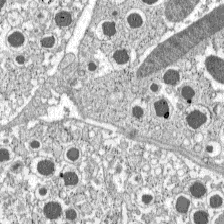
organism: C57BL Mouse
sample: Pancreatic islet